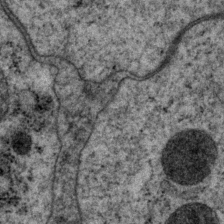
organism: P. pacificus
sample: Pharynx